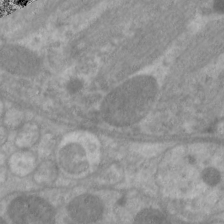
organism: C. elegans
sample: Pharynx